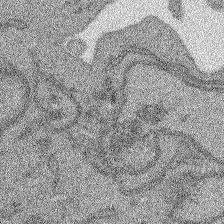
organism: Human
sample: HeLa cells